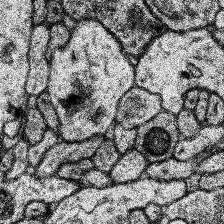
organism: Human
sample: Temporal Lobe